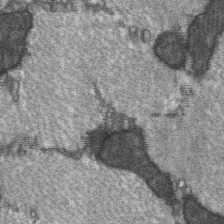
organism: C57BL Mouse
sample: Soleus